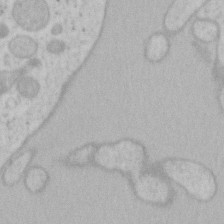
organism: Human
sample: HeLa cells